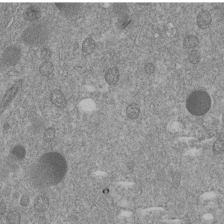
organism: C. elegans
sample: C. elegans embryo early stage